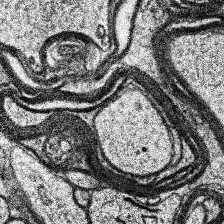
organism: Human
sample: Temporal Lobe